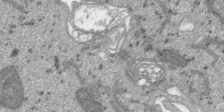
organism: Human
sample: Lung epithelial cells infected with SARS-CoV-2